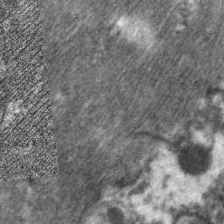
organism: C. elegans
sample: Pharynx